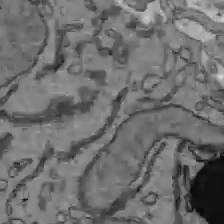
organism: C57BL Mouse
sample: Liver